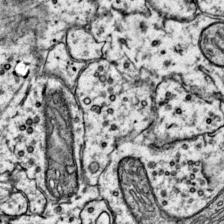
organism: Mouse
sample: Primary visual cortex